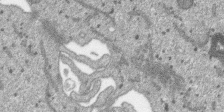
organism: Human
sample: Lung epithelial cells infected with SARS-CoV-2